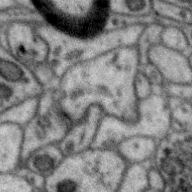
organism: Zebra finch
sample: Brain